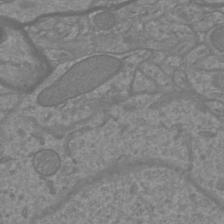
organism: Mouse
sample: Cortical neurons